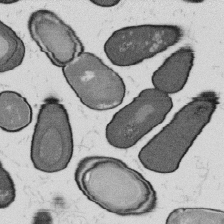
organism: B. subtilis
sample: Bacterial spore